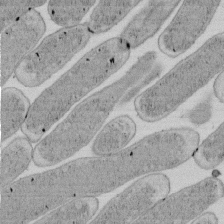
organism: E. coli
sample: Bacterial nucleoid